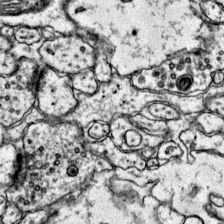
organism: Mouse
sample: Primary visual cortex